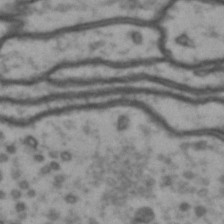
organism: Drosophila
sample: Brain